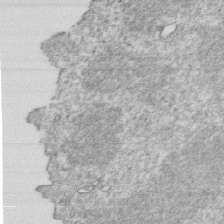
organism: Mouse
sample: Activated OT-1 CD8+ T cells